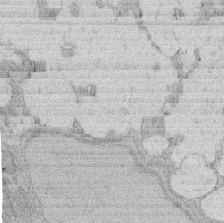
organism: Rat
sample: Salivary granule